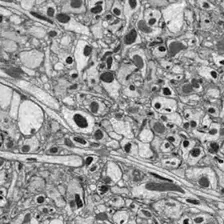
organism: Drosophila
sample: Optic lobe